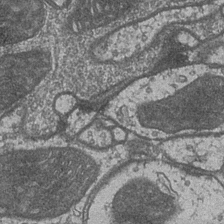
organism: Drosophila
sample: Optic medulla